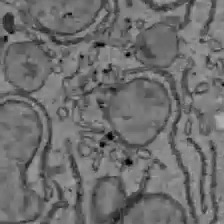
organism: C57BL Mouse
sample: Liver